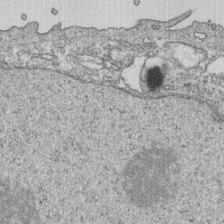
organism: Human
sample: HeLa cell HIV synapse